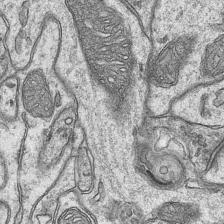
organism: Mouse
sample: CA1 Hippocampus